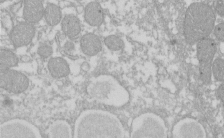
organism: Xenopus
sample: Cilia; centrioles in frog embryo cells